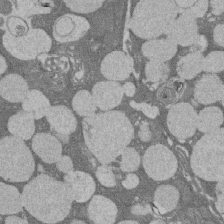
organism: Rat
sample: Salivary granule